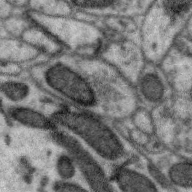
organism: Zebra finch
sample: Brain